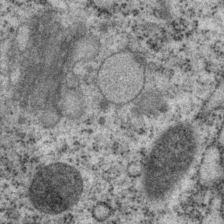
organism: P. pacificus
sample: Pharynx